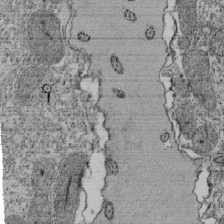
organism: Tetrahymena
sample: Cilia in tetrahymena